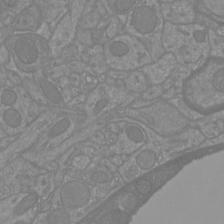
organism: Mouse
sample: Cortical neurons